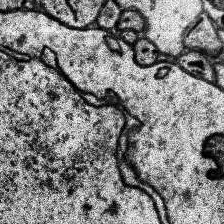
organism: Human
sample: Temporal Lobe